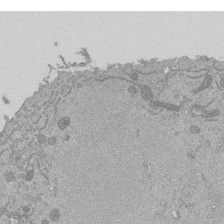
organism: Mouse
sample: ED-1 cell nuclei; centrioles